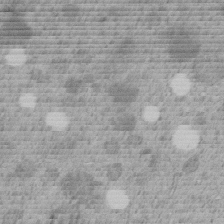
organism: C. elegans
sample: C. elegans embryo early stage